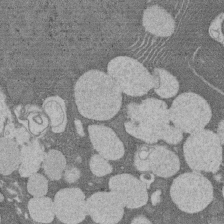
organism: Rat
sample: Salivary granule